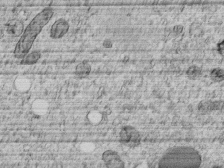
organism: C. elegans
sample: C. elegans embryo early stage